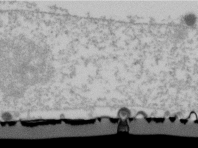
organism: Human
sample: U2-OS cells